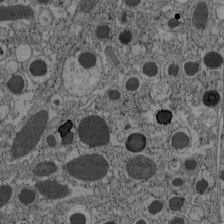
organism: C57BL Mouse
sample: Pancreatic islet